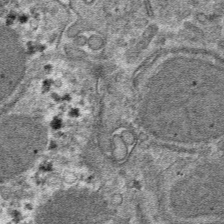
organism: Mouse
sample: Mouse hepatocytes